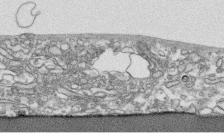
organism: Human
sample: CRL-1474